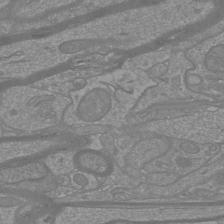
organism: Mouse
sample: Cortical neurons